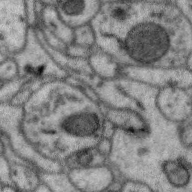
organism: Zebra finch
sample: Brain